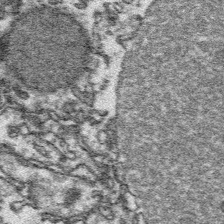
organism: Platynereis dumerilii